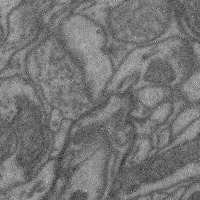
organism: Mouse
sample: Cerebral cortex